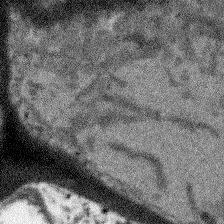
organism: Arabidopsis thaliana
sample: Root tip